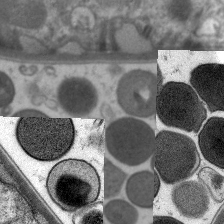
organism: C. elegans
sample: Pharynx